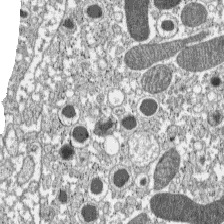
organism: C57BL Mouse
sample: Pancreatic islet